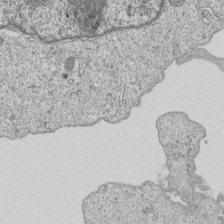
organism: Human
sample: MDA-MB-231 cells